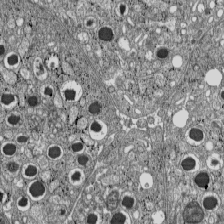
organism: C57BL Mouse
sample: Pancreatic islet